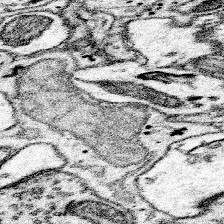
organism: Mouse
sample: Somatosensory cortex neuropil